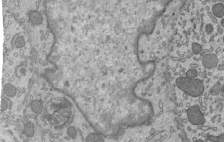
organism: Mouse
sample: Mouse epididymis efferent ductule cilia